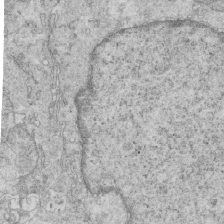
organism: Mouse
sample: Multiciliated cells